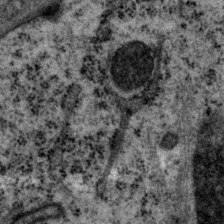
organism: P. pacificus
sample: Pharynx